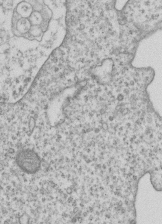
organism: Human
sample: MDA-MB-231 cells